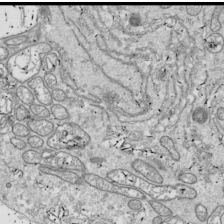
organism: Drosophila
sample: Cell division; meiosis; drosophila spermatocytes